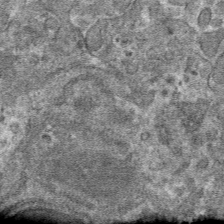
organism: Mouse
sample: Mouse hepatocytes